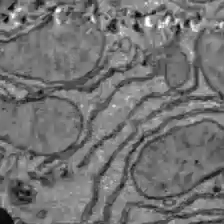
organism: C57BL Mouse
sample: Liver